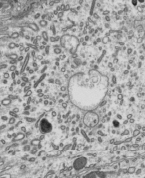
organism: Mouse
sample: Mouse epididymis efferent ductule cilia